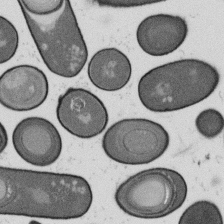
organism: B. subtilis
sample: Bacterial spore